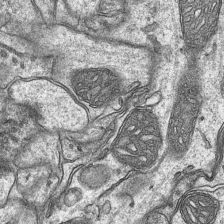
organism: Mouse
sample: CA1 Hippocampus